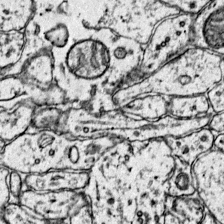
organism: Mouse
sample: Primary visual cortex